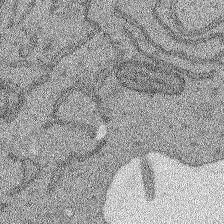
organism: Human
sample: HeLa cells